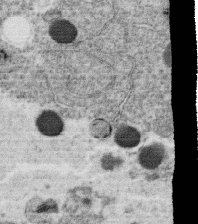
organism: C. elegans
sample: C. elegans oocyte; sperm cells